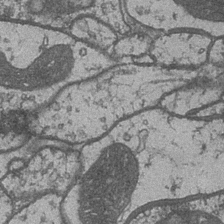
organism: Drosophila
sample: Optic medulla